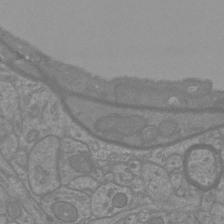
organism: Mouse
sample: Cortical neurons